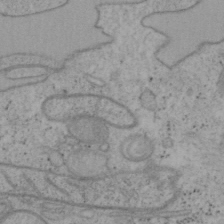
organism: Human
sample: HeLa cells